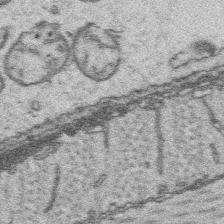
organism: Platynereis dumerilii